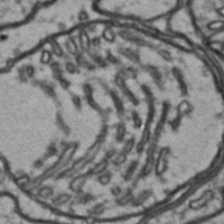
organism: Drosophila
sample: Brain